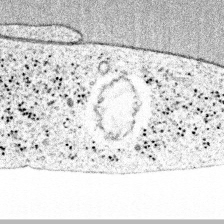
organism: Human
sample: HeLa cells